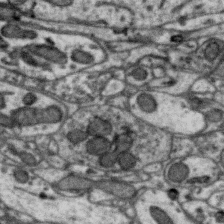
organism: Zebra finch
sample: Brain